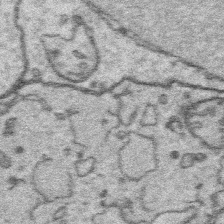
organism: Platynereis dumerilii